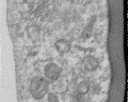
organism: Human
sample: Centriole in RPE cells